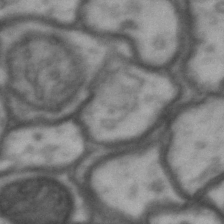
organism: Drosophila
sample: Brain